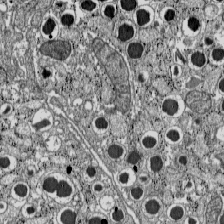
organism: C57BL Mouse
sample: Pancreatic islet